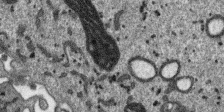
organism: Human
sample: Lung epithelial cells infected with SARS-CoV-2